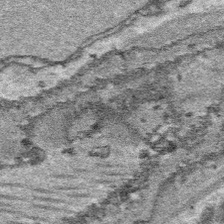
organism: Platynereis dumerilii